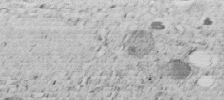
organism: C. elegans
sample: C. elegans embryo early stage